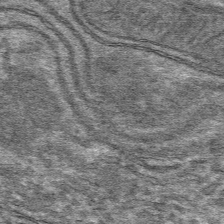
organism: Mouse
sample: Mouse hepatocytes